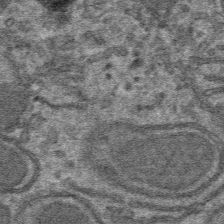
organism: Mouse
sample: Mouse hepatocytes